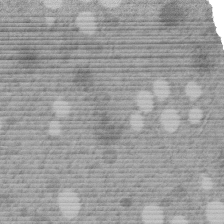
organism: C. elegans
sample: C. elegans embryo early stage